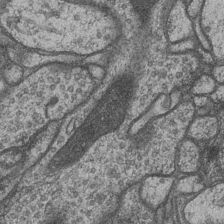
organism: Drosophila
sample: Optic medulla